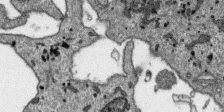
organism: Human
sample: Lung epithelial cells, uninfected (mock) control